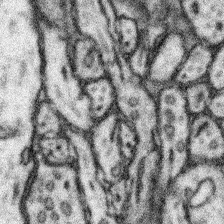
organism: Mouse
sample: Somatosensory cortex neuropil